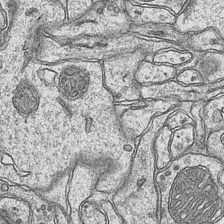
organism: Mouse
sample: CA1 Hippocampus